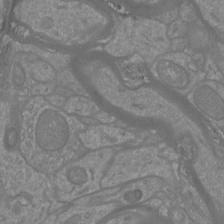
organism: Mouse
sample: Cortical neurons